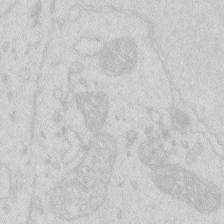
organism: Zebrafish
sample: Macrophage